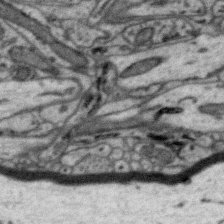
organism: Zebra finch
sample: Brain